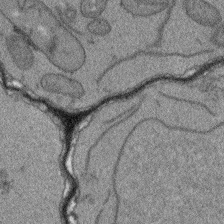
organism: Arabidopsis thaliana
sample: Root tip